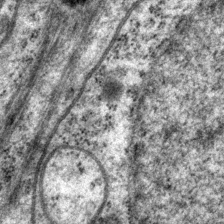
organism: P. pacificus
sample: Pharynx